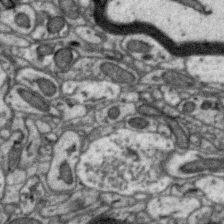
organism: Zebra finch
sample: Brain